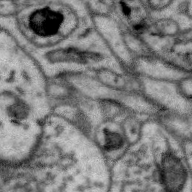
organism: Zebra finch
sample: Brain